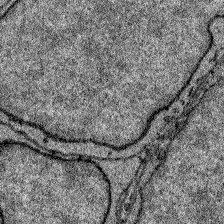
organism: Zebrafish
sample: Larval olfactory bulb